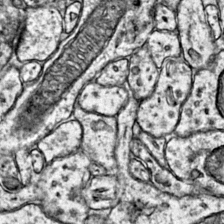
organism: Mouse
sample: Primary visual cortex